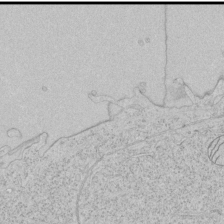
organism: Human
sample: Mitochondria in HCT116 cells